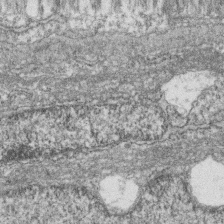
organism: Zebrafish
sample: Cilia; retinal pigment epithelium